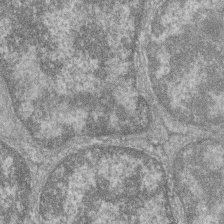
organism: Zebrafish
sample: Cilia; retinal pigment epithelium